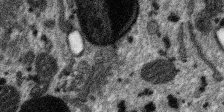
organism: Human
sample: Lung epithelial cells infected with SARS-CoV-2